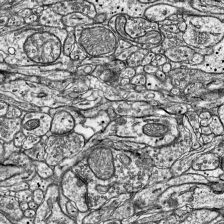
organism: Mouse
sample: Visual Cortex